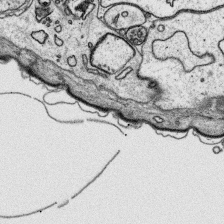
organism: Platynereis dumerilii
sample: Parapodia